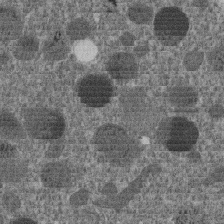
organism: C. elegans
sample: C. elegans embryo early stage